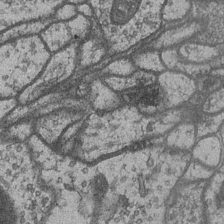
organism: Drosophila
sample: Optic medulla